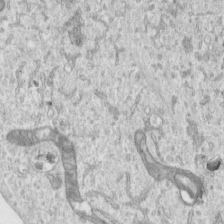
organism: Human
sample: Centriole in RPE cells